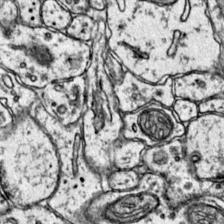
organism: Mouse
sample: Primary visual cortex